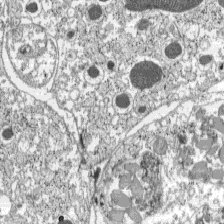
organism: C57BL Mouse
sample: Pancreatic islet